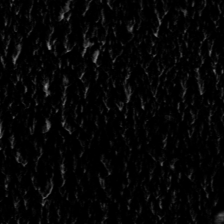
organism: Toxoplasma gondii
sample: Parasites in a vacuole inside a host cell